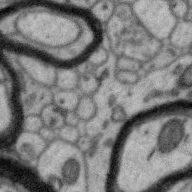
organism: Zebra finch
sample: Brain